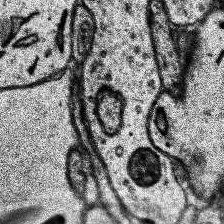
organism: Human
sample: Temporal Lobe